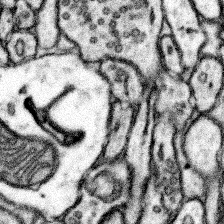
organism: Mouse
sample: Somatosensory cortex neuropil